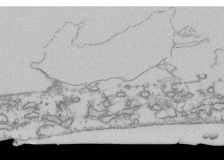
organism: Human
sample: Fibroblast cells